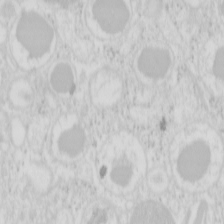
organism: Mouse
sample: Pancreas